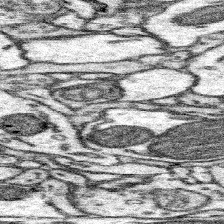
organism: Mouse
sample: Somatosensory cortex neuropil